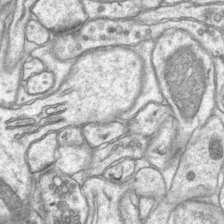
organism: Mouse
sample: CA1 Hippocampus